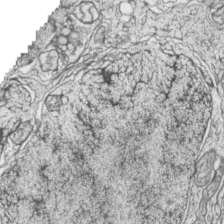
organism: Zebrafish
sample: synaptic ribbons in rod cells and cone cells